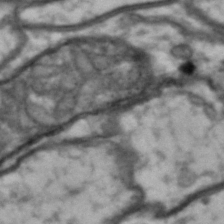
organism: Drosophila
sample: Brain